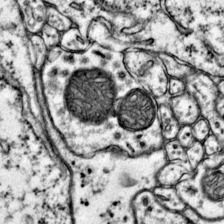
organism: Mouse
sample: Primary visual cortex